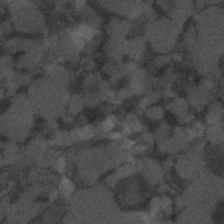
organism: C. elegans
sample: C. elegans embryo